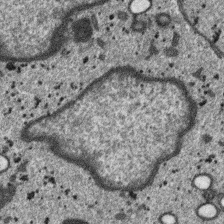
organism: Human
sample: Lung epithelial cells infected with SARS-CoV-2